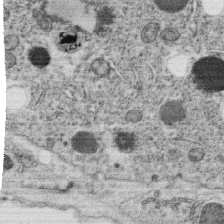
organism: C. elegans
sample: C. elegans oocyte; sperm cells